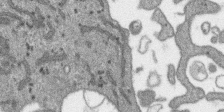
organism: Human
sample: Lung epithelial cells infected with SARS-CoV-2